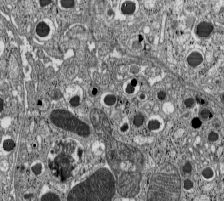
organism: C57BL Mouse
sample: Pancreatic islet